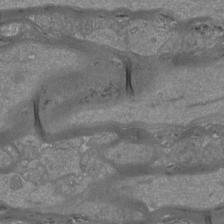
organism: Mouse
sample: Cortical neurons